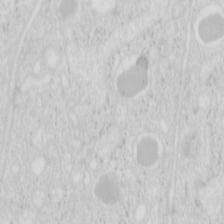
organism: Mouse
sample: Pancreas